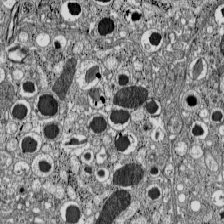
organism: C57BL Mouse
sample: Pancreatic islet